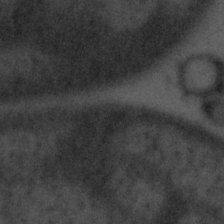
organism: Tuwongella immobilis